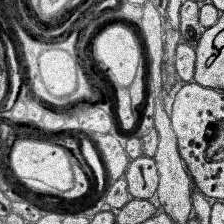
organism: Human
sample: Temporal Lobe